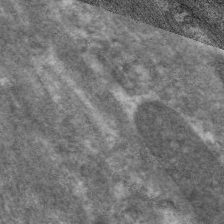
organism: C. elegans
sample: Pharynx